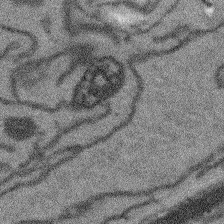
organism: Arabidopsis thaliana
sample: Root tip